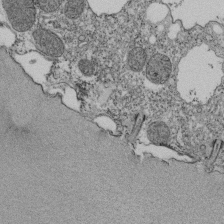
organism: Tetrahymena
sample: Cilia in tetrahymena